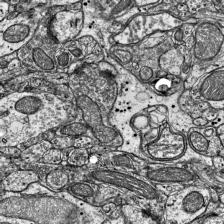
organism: Mouse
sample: Visual Cortex